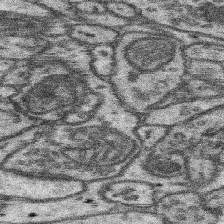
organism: Mouse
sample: Somatosensory cortex neuropil